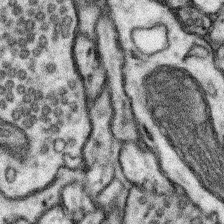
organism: Mouse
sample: Somatosensory cortex neuropil